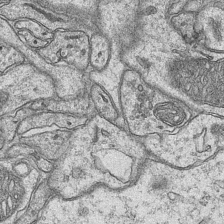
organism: Mouse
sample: CA1 Hippocampus